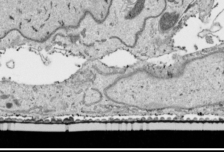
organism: Human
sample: Mitochondria in HCT116 cells